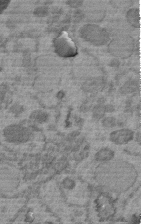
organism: C. elegans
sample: C. elegans embryo early stage